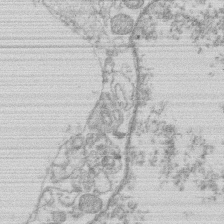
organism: Human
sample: Macrophage cells